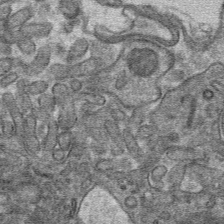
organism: Mouse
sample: Mouse hepatocytes